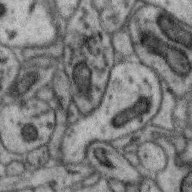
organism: Zebra finch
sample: Brain